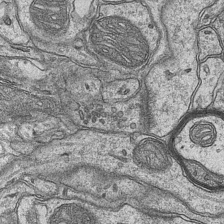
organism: Mouse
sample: CA1 Hippocampus